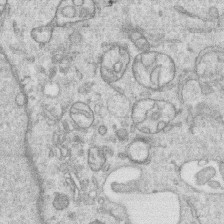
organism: Human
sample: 1205lu cells